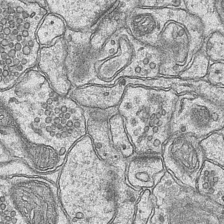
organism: Mouse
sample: CA1 Hippocampus